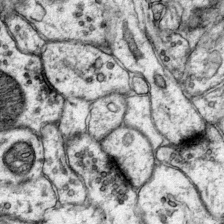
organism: Mouse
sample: Primary visual cortex